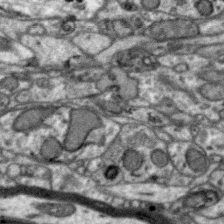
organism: Zebra finch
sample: Brain